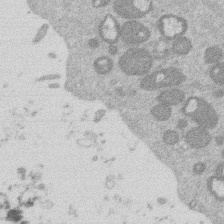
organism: Mouse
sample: Dividing mouse embryo 1 cell stage